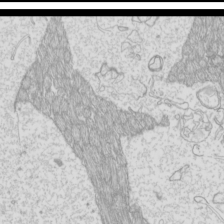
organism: Mouse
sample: Cilia; mouse epididymis